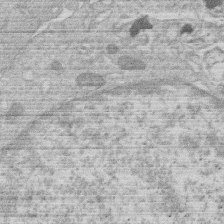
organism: Human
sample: Macrophage cells